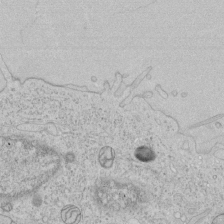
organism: Human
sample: Mitochondria in HCT116 cells